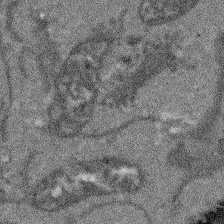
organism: Arabidopsis thaliana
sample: Root tip